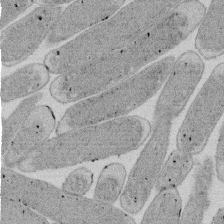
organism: E. coli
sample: Bacterial nucleoid